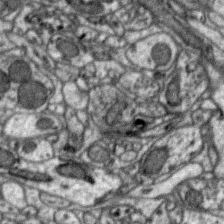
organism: Zebra finch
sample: Brain